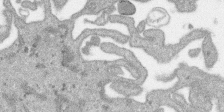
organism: Human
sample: Lung epithelial cells infected with SARS-CoV-2